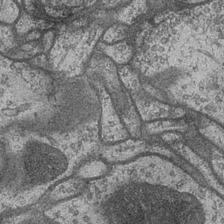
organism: Drosophila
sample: Optic medulla